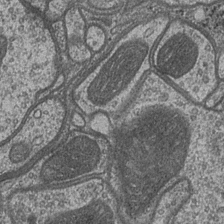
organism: Drosophila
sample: Optic medulla